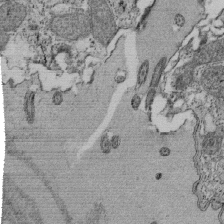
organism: Tetrahymena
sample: Cilia in tetrahymena